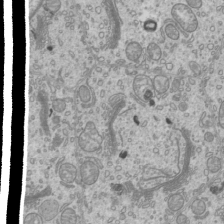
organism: Mouse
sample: Cilia; mouse epididymis